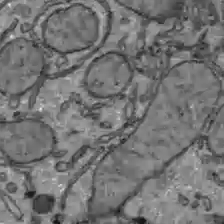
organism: C57BL Mouse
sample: Liver